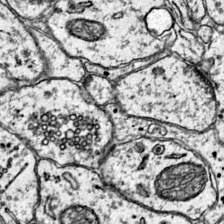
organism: Mouse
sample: Primary visual cortex